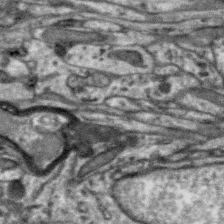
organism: Zebra finch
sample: Brain